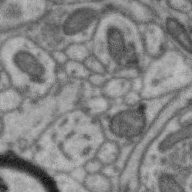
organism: Zebra finch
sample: Brain